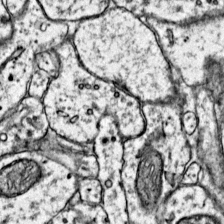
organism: Mouse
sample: Primary visual cortex